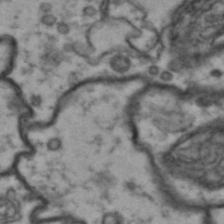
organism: Drosophila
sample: Brain